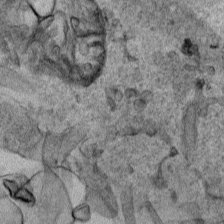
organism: Human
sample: Mitochondria in HCT116 cells